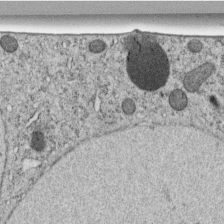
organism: C. elegans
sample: C. elegans embryo early stage